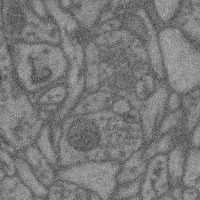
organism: Mouse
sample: Cerebral cortex